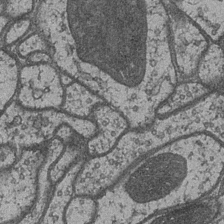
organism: Drosophila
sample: Optic medulla